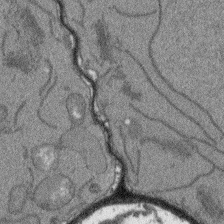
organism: Arabidopsis thaliana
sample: Root tip